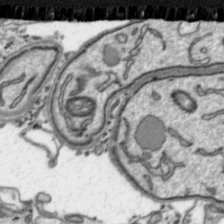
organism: Toxoplasma gondii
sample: Parasites in a vacuole inside a host cell